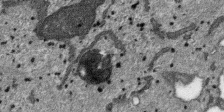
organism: Human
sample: Lung epithelial cells, uninfected (mock) control